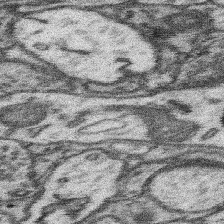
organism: Mouse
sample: Somatosensory cortex neuropil